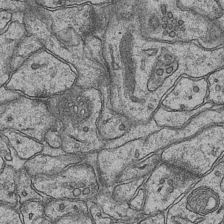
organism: Mouse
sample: CA1 Hippocampus